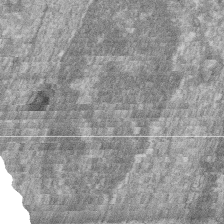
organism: Zebrafish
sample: Cilia; retinal pigment epithelium